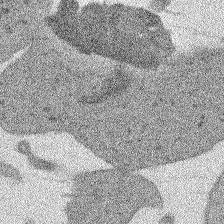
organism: Human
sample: HeLa cells